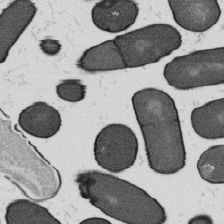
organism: B. subtilis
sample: Bacterial spore